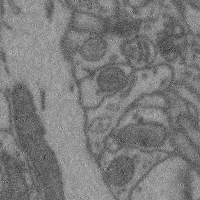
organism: Mouse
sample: Cerebral cortex